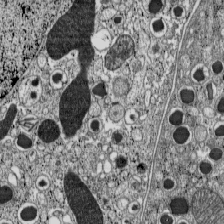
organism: C57BL Mouse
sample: Pancreatic islet